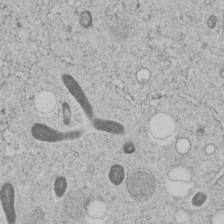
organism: C. elegans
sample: C. elegans embryo early stage